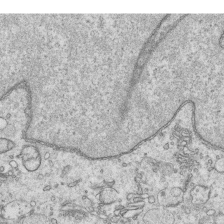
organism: Human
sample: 1205lu cells